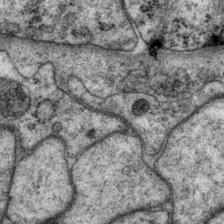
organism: P. pacificus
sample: Pharynx